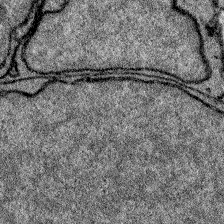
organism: Zebrafish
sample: Larval olfactory bulb